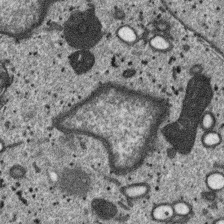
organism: Human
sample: Lung epithelial cells infected with SARS-CoV-2